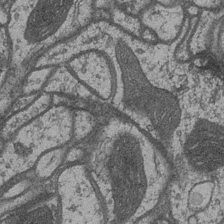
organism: Drosophila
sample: Optic medulla